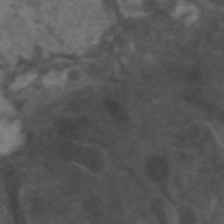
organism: Zebrafish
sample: Zebrafish embryo